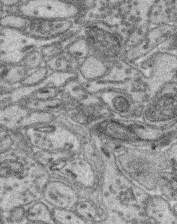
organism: Mouse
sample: Retina